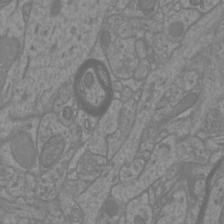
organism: Mouse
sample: Cortical neurons